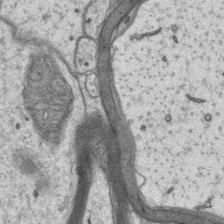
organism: Mouse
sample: CA1 Hippocampus